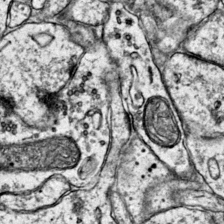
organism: Mouse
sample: Primary visual cortex